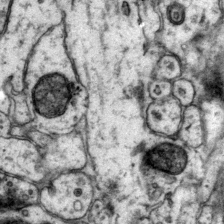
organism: Mouse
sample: Primary visual cortex